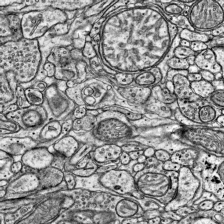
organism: Mouse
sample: Visual Cortex